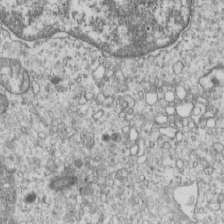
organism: Human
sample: MDA-MB-231 cells